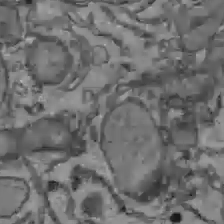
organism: C57BL Mouse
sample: Liver